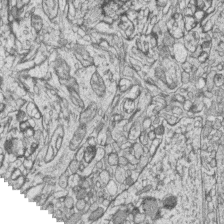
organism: Zebrafish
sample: synaptic ribbons in rod cells and cone cells